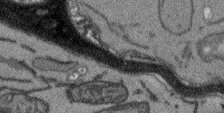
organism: Arabidopsis thaliana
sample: Root tip